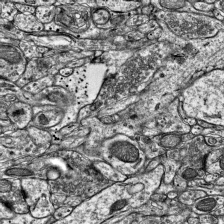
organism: Mouse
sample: Visual Cortex